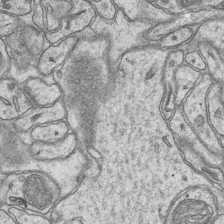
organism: Mouse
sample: CA1 Hippocampus